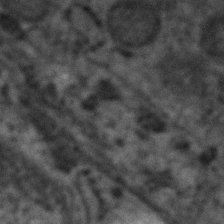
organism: Human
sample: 1205lu cells